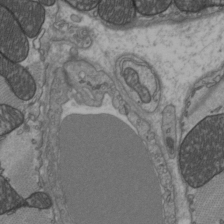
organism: C57BL Mouse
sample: Heart